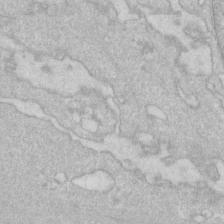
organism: Human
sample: Fibroblast cells